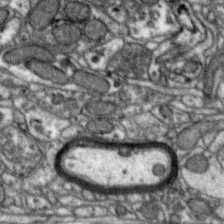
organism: Zebra finch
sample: Brain